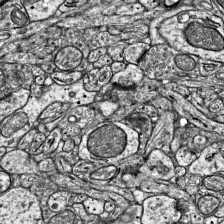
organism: Mouse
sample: Visual Cortex